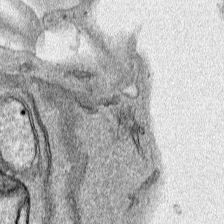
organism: Human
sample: Mitochondria in HCT116 cells